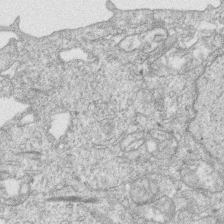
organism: Human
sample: HeLa cell HIV synapse